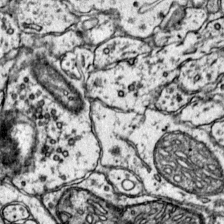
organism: Mouse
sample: Primary visual cortex